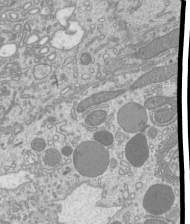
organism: Mouse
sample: Cilia; mouse epididymis